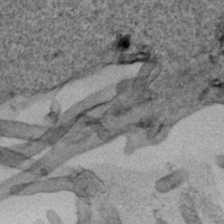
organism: Human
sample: Mitochondria in HCT116 cells